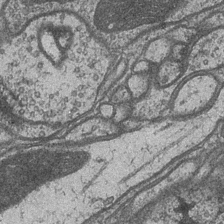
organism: Drosophila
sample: Optic medulla